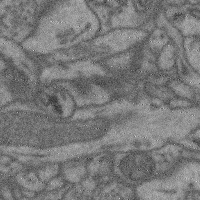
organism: Mouse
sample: Cerebral cortex